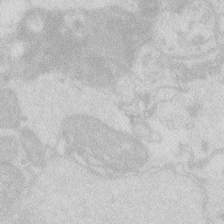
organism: Zebrafish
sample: Macrophage